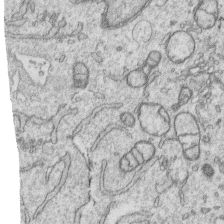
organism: Human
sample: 1205lu cells